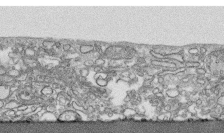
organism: Human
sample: CRL-1474